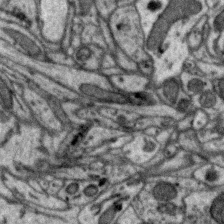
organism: Zebra finch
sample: Brain